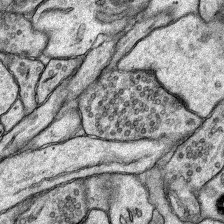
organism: Rat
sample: Hippocampus